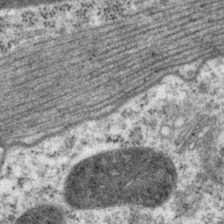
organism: P. pacificus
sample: Pharynx